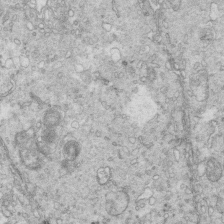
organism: Mouse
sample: Multiciliated cells